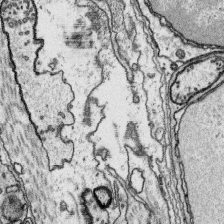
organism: Platynereis dumerilii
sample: Parapodia